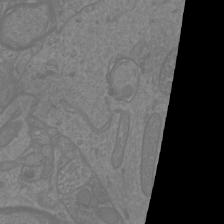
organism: Mouse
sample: Cortical neurons